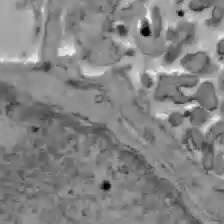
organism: C57BL Mouse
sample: Liver